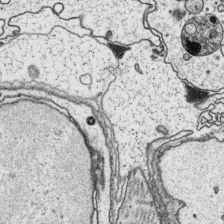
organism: Platynereis dumerilii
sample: Parapodia